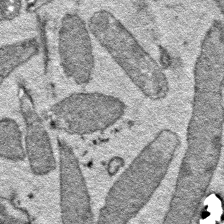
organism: E. coli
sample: E. Coli Bacteria